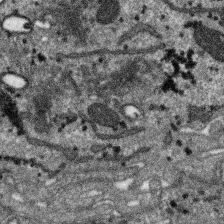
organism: Human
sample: Lung epithelial cells infected with SARS-CoV-2